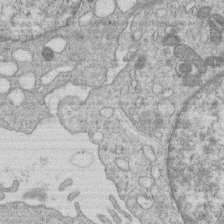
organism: Human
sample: Macrophage cells